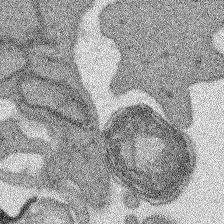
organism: Human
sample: HeLa cells